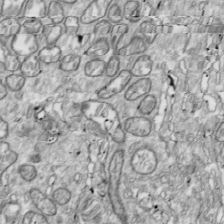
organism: Drosophila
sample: Cell division; meiosis; drosophila spermatocytes